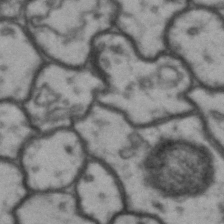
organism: Drosophila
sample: Brain